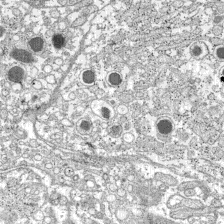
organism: C57BL Mouse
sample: Pancreatic islet